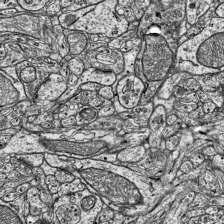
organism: Mouse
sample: Visual Cortex